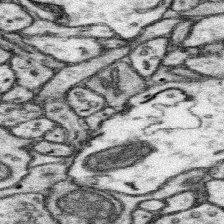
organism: Mouse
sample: Somatosensory cortex neuropil